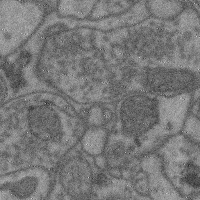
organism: Mouse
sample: Cerebral cortex